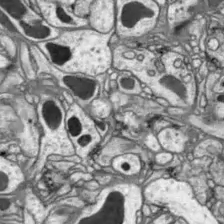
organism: Drosophila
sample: Optic lobe